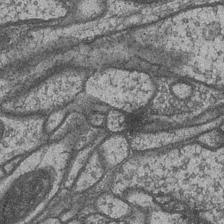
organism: Drosophila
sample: Optic medulla